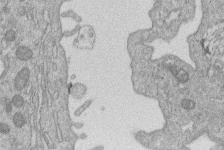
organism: Human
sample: Macrophage cells